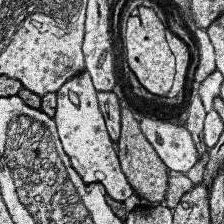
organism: Human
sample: Temporal Lobe